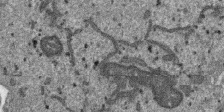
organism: Human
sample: Lung epithelial cells infected with SARS-CoV-2